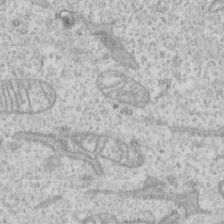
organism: Human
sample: CRL-1474